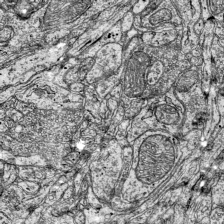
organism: Mouse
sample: Visual Cortex